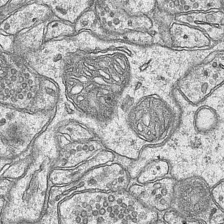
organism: Mouse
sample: CA1 Hippocampus